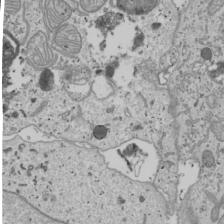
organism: Human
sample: Mitochondria in U2OS cells